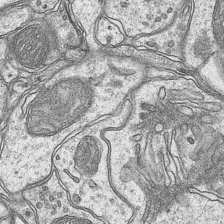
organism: Mouse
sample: CA1 Hippocampus